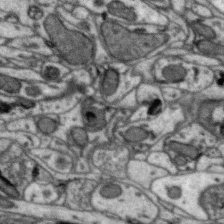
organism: Zebra finch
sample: Brain